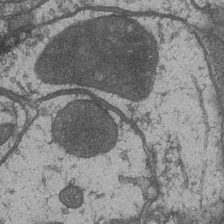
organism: Drosophila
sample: Optic medulla